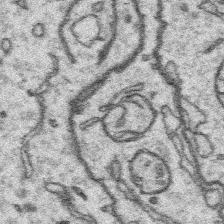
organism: Platynereis dumerilii